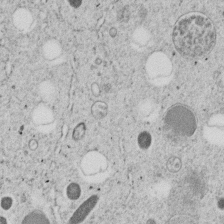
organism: C. elegans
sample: C. elegans embryo early stage